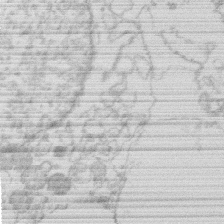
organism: Human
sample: Macrophage cells